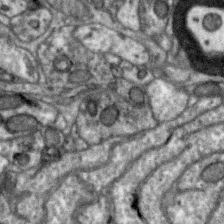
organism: Zebra finch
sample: Brain